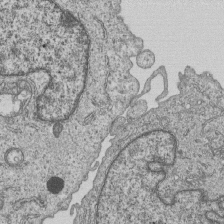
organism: Human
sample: MDA-MB-231 cells